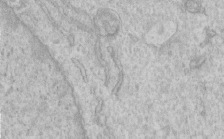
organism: Human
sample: Centriole in RPE cells